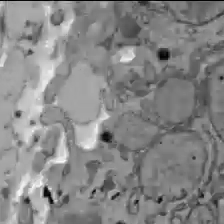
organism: C57BL Mouse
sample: Liver